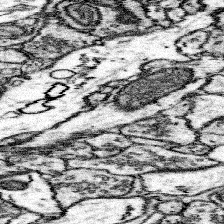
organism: Mouse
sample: Somatosensory cortex neuropil